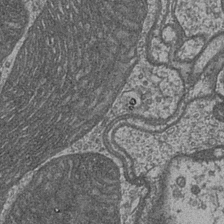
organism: Drosophila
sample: Optic medulla